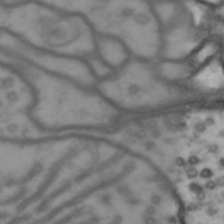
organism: Drosophila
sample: Brain